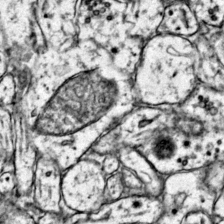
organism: Mouse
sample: Primary visual cortex